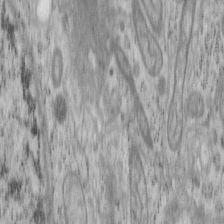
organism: Human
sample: HeLa cells